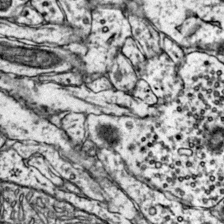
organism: Mouse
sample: Primary visual cortex